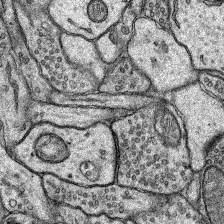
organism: Rat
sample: Hippocampus